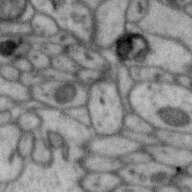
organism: Zebra finch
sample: Brain